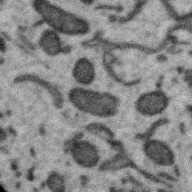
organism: Zebra finch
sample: Brain